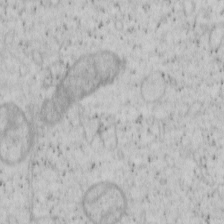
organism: Human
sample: HeLa cells